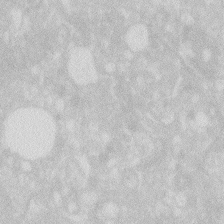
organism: Zebrafish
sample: Macrophage